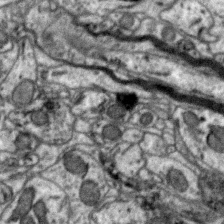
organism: Zebra finch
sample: Brain